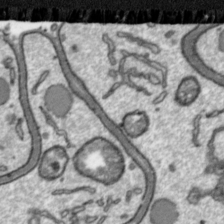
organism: Toxoplasma gondii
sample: Parasites in a vacuole inside a host cell